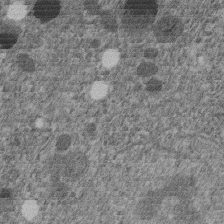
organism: C. elegans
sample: C. elegans embryo early stage